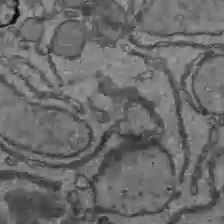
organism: C57BL Mouse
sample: Liver